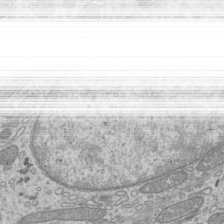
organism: Mouse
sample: Cilia; mouse epididymis